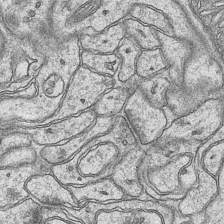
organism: Mouse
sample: CA1 Hippocampus